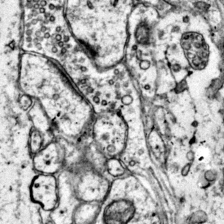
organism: Mouse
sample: Primary visual cortex